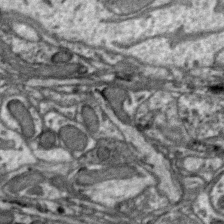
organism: Zebra finch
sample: Brain